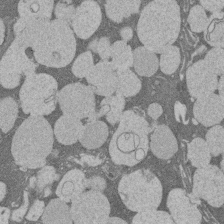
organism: Rat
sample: Salivary granule